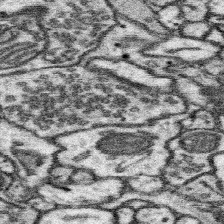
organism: Mouse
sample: Somatosensory cortex neuropil